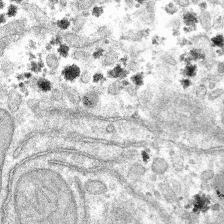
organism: Mouse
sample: Mouse hepatocytes